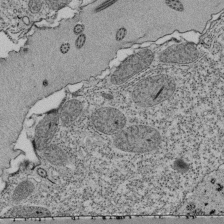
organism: Tetrahymena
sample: Cilia in tetrahymena